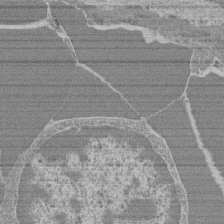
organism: Mouse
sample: Glomerulus